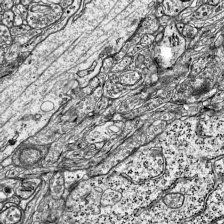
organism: Mouse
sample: Visual Cortex